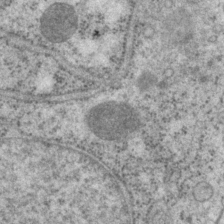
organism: P. pacificus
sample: Pharynx